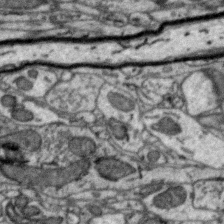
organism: Zebra finch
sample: Brain